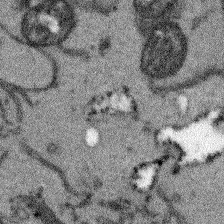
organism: Arabidopsis thaliana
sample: Root tip